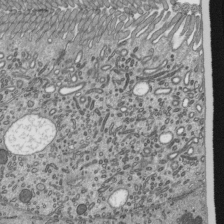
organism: Mouse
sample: Mouse epididymis efferent ductule cilia